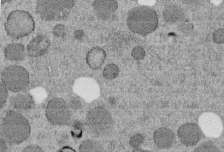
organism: C. elegans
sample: C. elegans embryo early stage